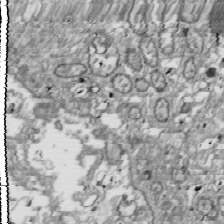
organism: Drosophila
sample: Cell division; meiosis; drosophila spermatocytes